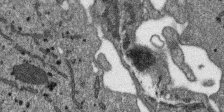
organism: Human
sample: Lung epithelial cells infected with SARS-CoV-2